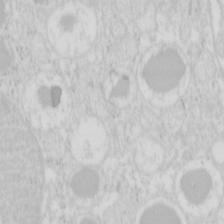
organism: Mouse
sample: Pancreas